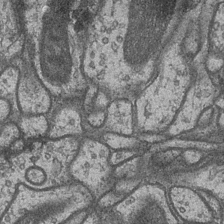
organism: Drosophila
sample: Optic medulla